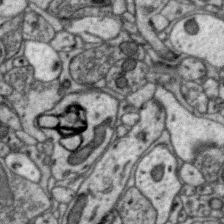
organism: Zebra finch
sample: Brain